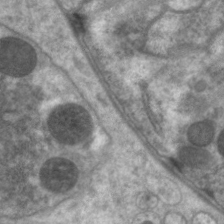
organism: C. elegans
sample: Pharynx